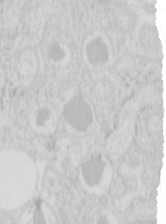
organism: Mouse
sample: Pancreas